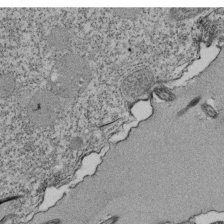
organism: Tetrahymena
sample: Cilia in tetrahymena